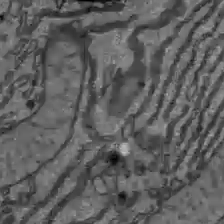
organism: C57BL Mouse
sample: Liver